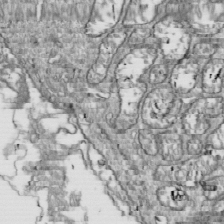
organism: Drosophila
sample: Cell division; meiosis; drosophila spermatocytes